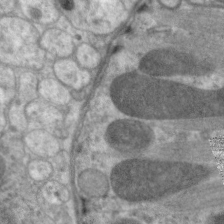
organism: C. elegans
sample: Pharynx